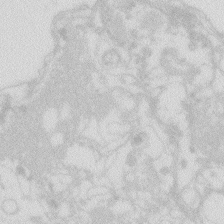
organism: Zebrafish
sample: Macrophage